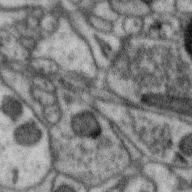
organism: Zebra finch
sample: Brain